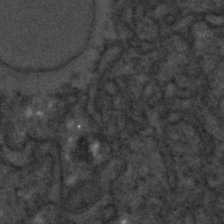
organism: C. elegans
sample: C. elegans embryo